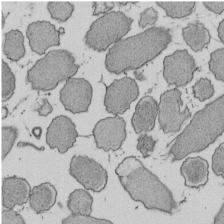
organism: E. coli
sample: Bacterial nucleoid